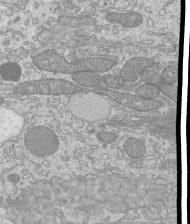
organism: Mouse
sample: Cilia; mouse epididymis